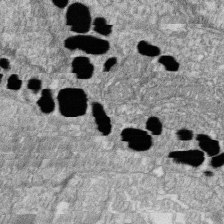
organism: Zebrafish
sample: Cilia; retinal pigment epithelium